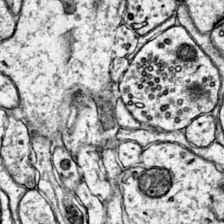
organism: Mouse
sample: Primary visual cortex